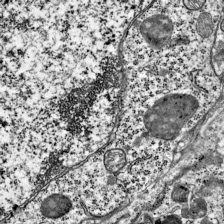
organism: Mouse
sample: Visual Cortex